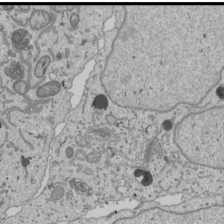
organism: Human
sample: Mitochondria in U2OS cells